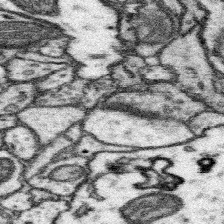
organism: Mouse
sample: Somatosensory cortex neuropil